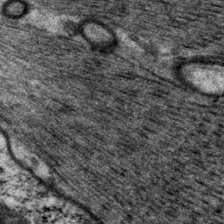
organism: P. pacificus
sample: Pharynx